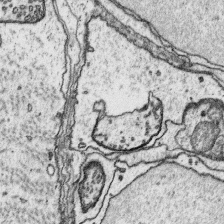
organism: Platynereis dumerilii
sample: Parapodia